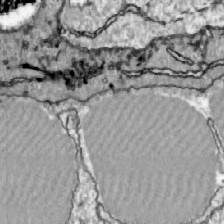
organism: Zebrafish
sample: Actinotrichia fibers